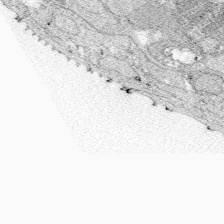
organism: Zebrafish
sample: Whole-Brain